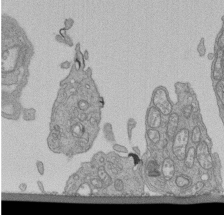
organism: Human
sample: Retinal organoid Rod and Cone cells